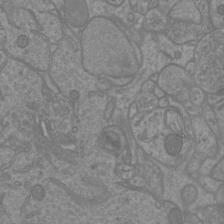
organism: Mouse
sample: Cortical neurons